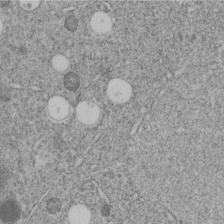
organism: C. elegans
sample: C. elegans embryo early stage